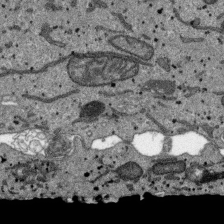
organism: Human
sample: Lung epithelial cells, uninfected (mock) control